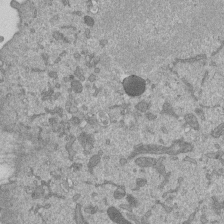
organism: Mouse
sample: ED-1 cell nuclei; centrioles